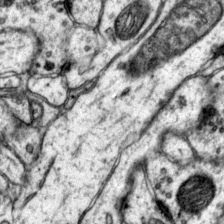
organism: Mouse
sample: Primary visual cortex